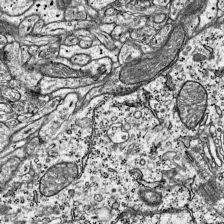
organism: Mouse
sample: Visual Cortex